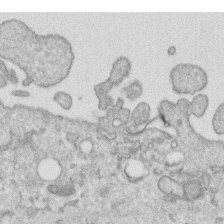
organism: Human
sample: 1205lu cells